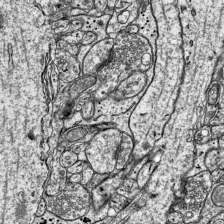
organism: Mouse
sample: Visual Cortex